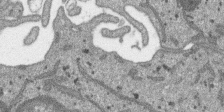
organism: Human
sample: Lung epithelial cells infected with SARS-CoV-2